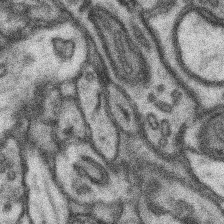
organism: Mouse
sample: Somatosensory cortex neuropil